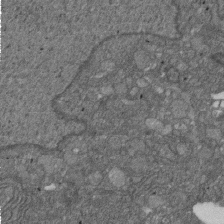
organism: Drosophila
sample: Nephrocyte